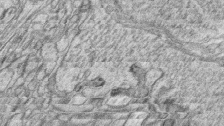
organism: Zebrafish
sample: synaptic ribbons in rod cells and cone cells